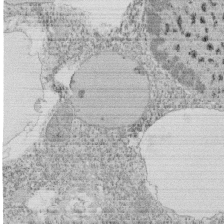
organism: Tetrahymena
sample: Cilia in tetrahymena